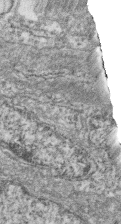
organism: Zebrafish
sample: Cilia; retinal pigment epithelium